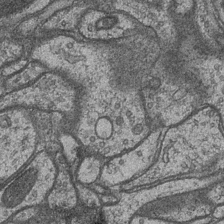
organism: Drosophila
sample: Optic medulla